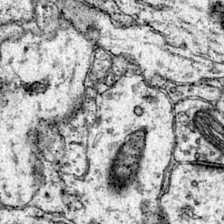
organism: Mouse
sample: Primary visual cortex